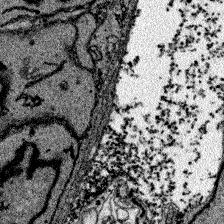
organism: Zebrafish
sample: Larval olfactory bulb